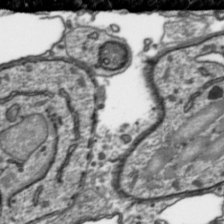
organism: Toxoplasma gondii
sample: Parasites in a vacuole inside a host cell